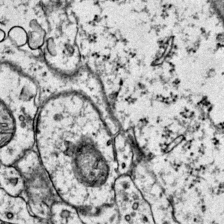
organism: Mouse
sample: Primary visual cortex